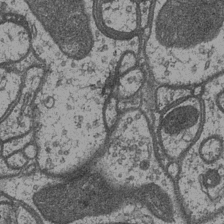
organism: Drosophila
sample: Optic medulla